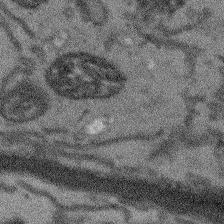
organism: Arabidopsis thaliana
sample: Root tip